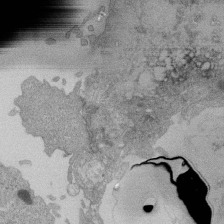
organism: Human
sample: Retinal organoid Rod and Cone cells